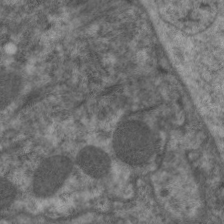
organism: C. elegans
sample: Pharynx